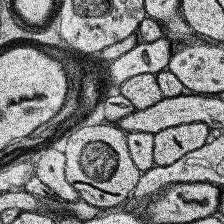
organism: Human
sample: Temporal Lobe